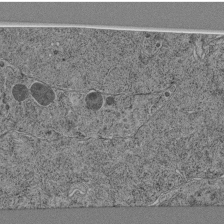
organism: C. elegans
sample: C. elegans pharynx